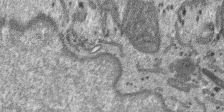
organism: Human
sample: Lung epithelial cells infected with SARS-CoV-2